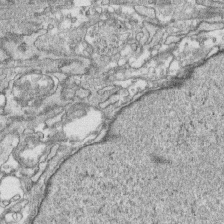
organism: Human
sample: CRL-1474